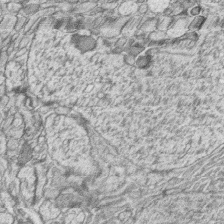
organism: Zebrafish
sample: synaptic ribbons in rod cells and cone cells